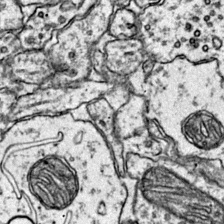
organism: Mouse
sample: Primary visual cortex